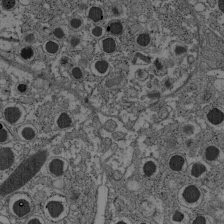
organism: C57BL Mouse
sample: Pancreatic islet